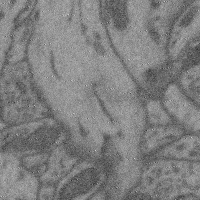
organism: Mouse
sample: Cerebral cortex